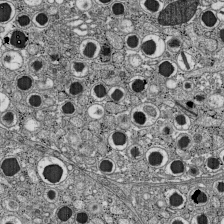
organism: C57BL Mouse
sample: Pancreatic islet